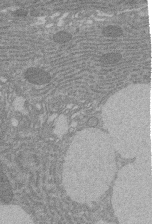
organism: Rat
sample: Salivary granule